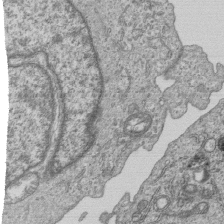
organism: Human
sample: MDA-MB-231 cells